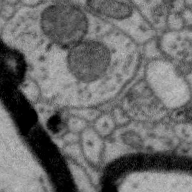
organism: Zebra finch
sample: Brain